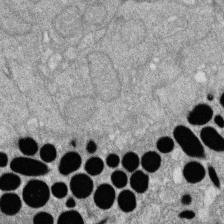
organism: Zebrafish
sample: Cilia; retinal pigment epithelium